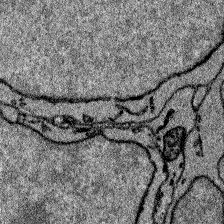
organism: Zebrafish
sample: Larval olfactory bulb